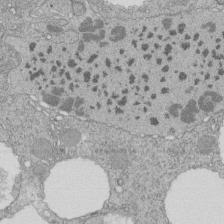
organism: Tetrahymena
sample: Cilia in tetrahymena